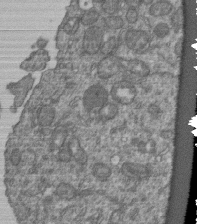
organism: Human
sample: Retinal organoid Rod and Cone cells